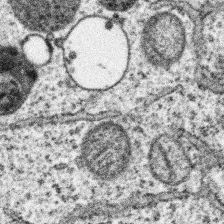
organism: Human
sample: HeLa cells